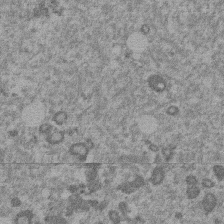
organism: Mouse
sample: Dividing mouse embryo 1 cell stage